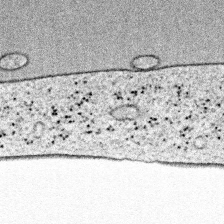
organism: Human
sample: HeLa cells